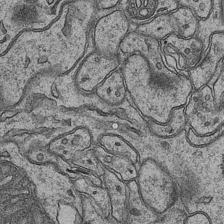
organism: Mouse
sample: CA1 Hippocampus